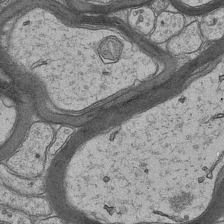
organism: Mouse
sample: CA1 Hippocampus